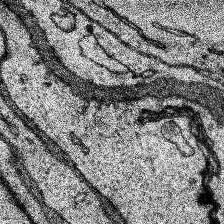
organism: Human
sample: Temporal Lobe